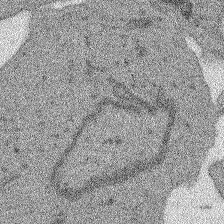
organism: Human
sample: HeLa cells